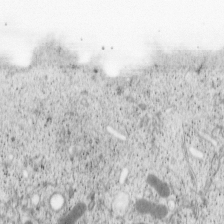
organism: African green monkey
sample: COS-7 cells